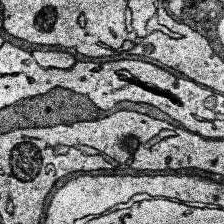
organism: Human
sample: Temporal Lobe